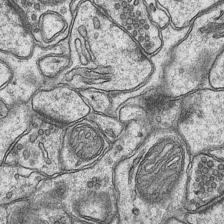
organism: Mouse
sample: CA1 Hippocampus